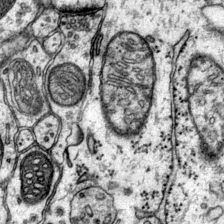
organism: Mouse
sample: Primary visual cortex